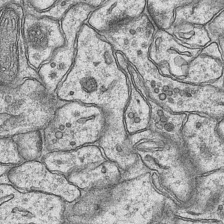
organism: Mouse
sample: CA1 Hippocampus